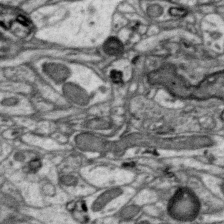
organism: Zebra finch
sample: Brain